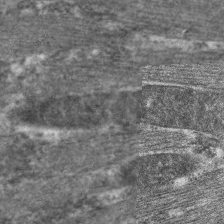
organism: C. elegans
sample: Pharynx